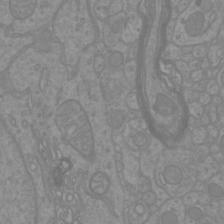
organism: Mouse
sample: Cortical neurons